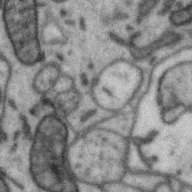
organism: Zebra finch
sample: Brain